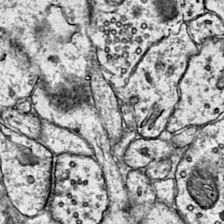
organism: Mouse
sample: Primary visual cortex